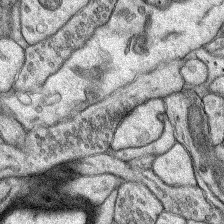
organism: Rat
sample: Hippocampus